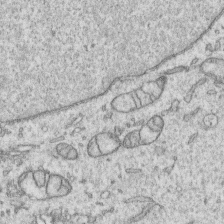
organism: Human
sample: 1205lu cells